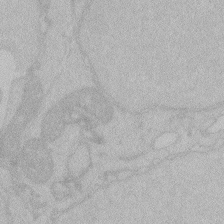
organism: Zebrafish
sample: Macrophage infected with Toxoplasma gondii